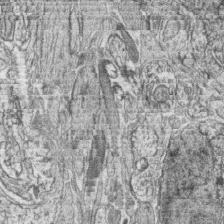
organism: Zebrafish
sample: synaptic ribbons in rod cells and cone cells